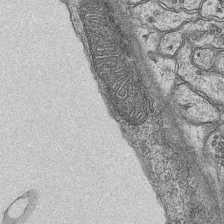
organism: Mouse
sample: CA1 Hippocampus